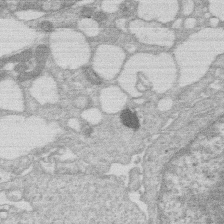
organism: Human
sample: Macrophage cells